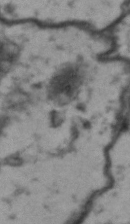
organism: Drosophila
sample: Brain